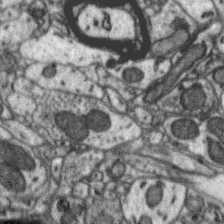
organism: Zebra finch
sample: Brain